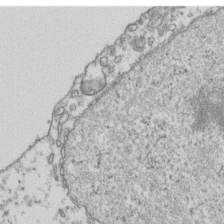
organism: Human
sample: Activated Jurkat CD4+ T cells